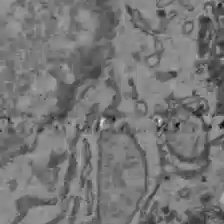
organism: C57BL Mouse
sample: Liver